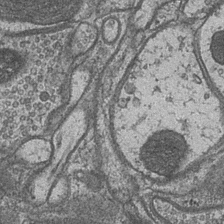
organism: Drosophila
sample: Optic medulla